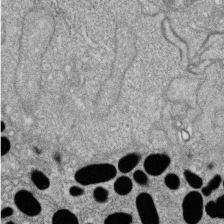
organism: Zebrafish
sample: Cilia; retinal pigment epithelium